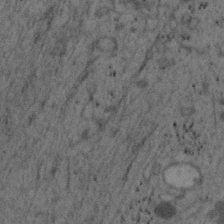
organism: Human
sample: HeLa cells